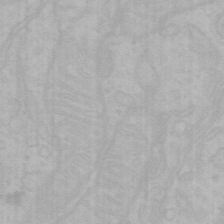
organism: Mouse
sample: Choroid plexus